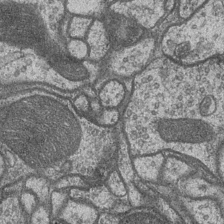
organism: Drosophila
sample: Optic medulla